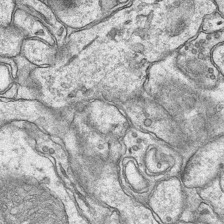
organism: Mouse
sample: CA1 Hippocampus